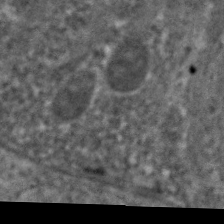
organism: C. elegans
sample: Pharynx